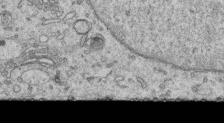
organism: Human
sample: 1205lu cells